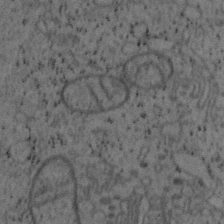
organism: Human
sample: HeLa cells